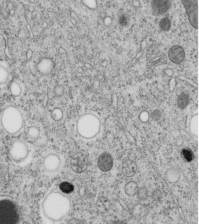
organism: C. elegans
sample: C. elegans embryo early stage